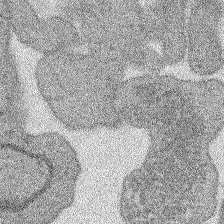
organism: Human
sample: HeLa cells